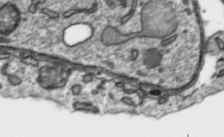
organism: Toxoplasma gondii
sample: Parasites in a vacuole inside a host cell